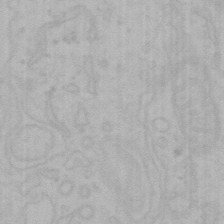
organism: Mouse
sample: Choroid plexus